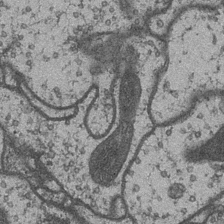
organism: Drosophila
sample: Optic medulla